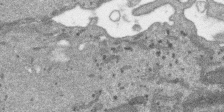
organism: Human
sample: Lung epithelial cells infected with SARS-CoV-2